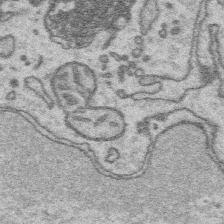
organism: Platynereis dumerilii